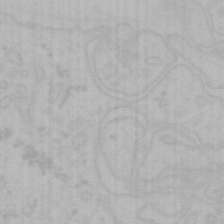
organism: Mouse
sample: Choroid plexus